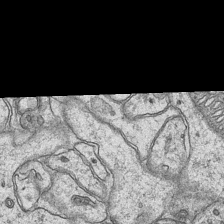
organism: Mouse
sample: CA1 Hippocampus